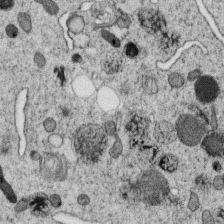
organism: C. elegans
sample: C. elegans oocyte; sperm cells